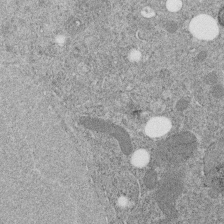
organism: C. elegans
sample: C. elegans embryo early stage